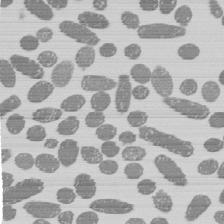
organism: E. coli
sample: Bacterial nucleoid